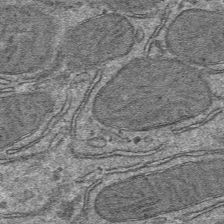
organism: Mouse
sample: Mouse hepatocytes